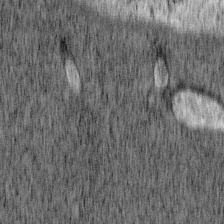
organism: Human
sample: HeLa cells